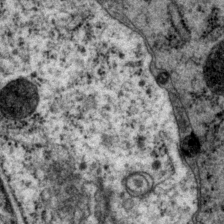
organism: P. pacificus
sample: Pharynx